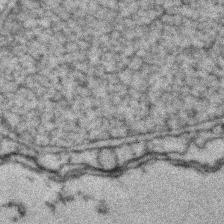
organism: Zebrafish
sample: Zebrafish embryo